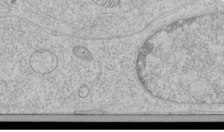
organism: Human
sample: Mitochondria in HCT116 cells